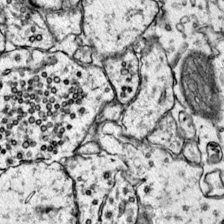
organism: Mouse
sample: Primary visual cortex